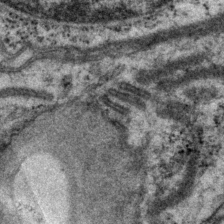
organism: P. pacificus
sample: Pharynx